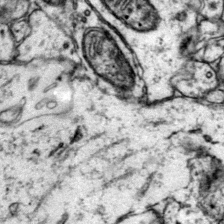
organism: Mouse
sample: Primary visual cortex